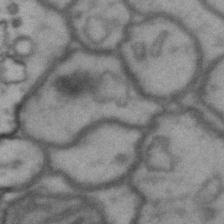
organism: Drosophila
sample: Brain